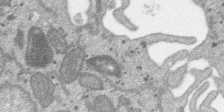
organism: Human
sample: Lung epithelial cells infected with SARS-CoV-2